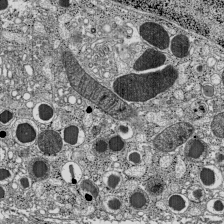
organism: C57BL Mouse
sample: Pancreatic islet